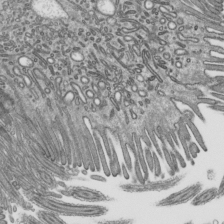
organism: Mouse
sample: Mouse epididymis efferent ductule cilia